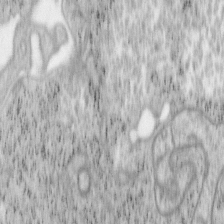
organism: Human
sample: HeLa cells